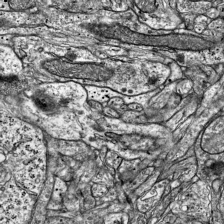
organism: Mouse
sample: Visual Cortex